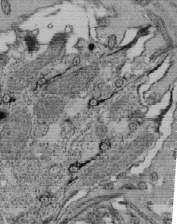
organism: Tetrahymena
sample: Cilia in tetrahymena